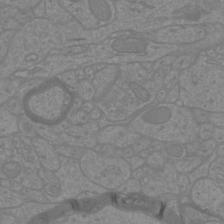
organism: Mouse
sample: Cortical neurons